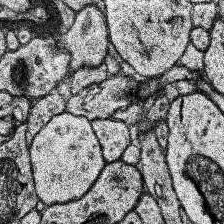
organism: Human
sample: Temporal Lobe